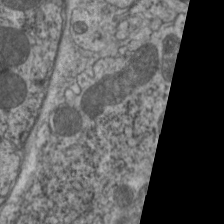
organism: C. elegans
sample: Pharynx